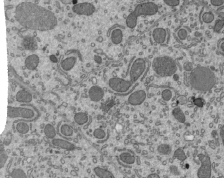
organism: Mouse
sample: Mouse epididymis efferent ductule cilia